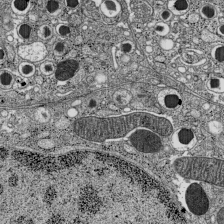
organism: C57BL Mouse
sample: Pancreatic islet